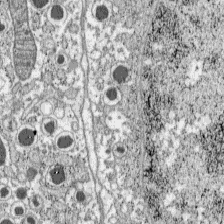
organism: C57BL Mouse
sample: Pancreatic islet